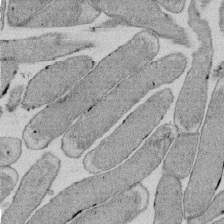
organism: E. coli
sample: Bacterial nucleoid